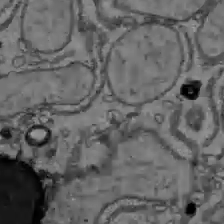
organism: C57BL Mouse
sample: Liver